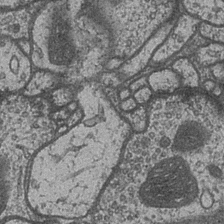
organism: Drosophila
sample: Optic medulla